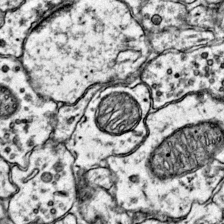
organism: Mouse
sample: Primary visual cortex